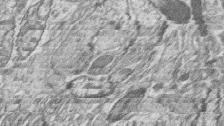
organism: Zebrafish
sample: synaptic ribbons in rod cells and cone cells